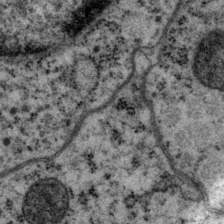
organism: P. pacificus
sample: Pharynx